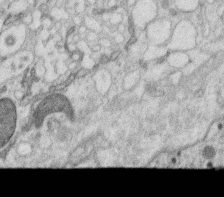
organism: C. elegans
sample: C. elegans oocyte; sperm cells